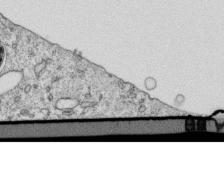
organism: Mouse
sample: Activated OT-1 CD8+ T cells